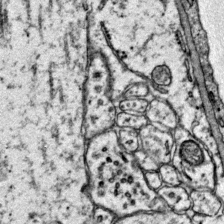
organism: Mouse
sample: Primary visual cortex